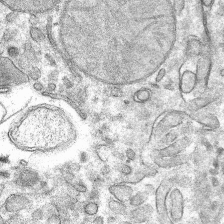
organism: Mouse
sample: Mouse hepatocytes